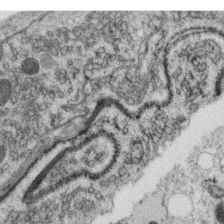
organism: C. elegans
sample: C. elegans oocyte; sperm cells